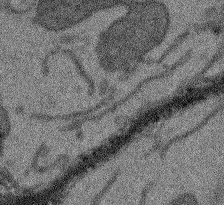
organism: Arabidopsis thaliana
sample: Root tip